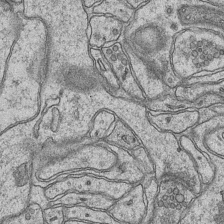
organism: Mouse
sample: CA1 Hippocampus